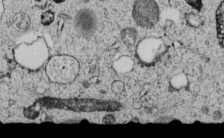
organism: C. elegans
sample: C. elegans embryo early stage